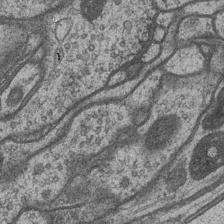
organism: Drosophila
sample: Optic medulla